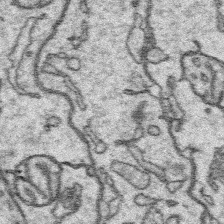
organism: Platynereis dumerilii